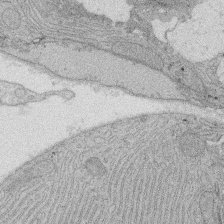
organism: Rat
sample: Salivary granule